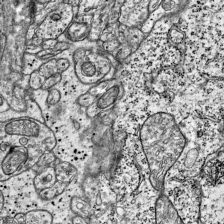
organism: Mouse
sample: Visual Cortex